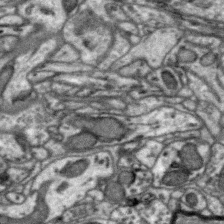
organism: Zebra finch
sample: Brain